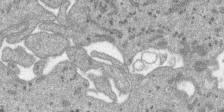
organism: Human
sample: Lung epithelial cells infected with SARS-CoV-2